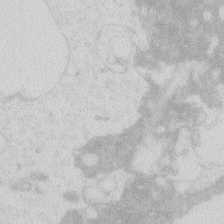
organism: Zebrafish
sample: Macrophage